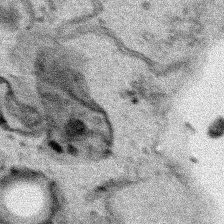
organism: Human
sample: Mitochondria in HCT116 cells